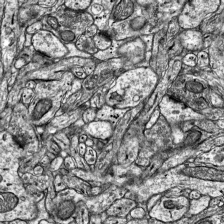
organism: Mouse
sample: Visual Cortex